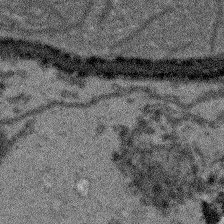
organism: Arabidopsis thaliana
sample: Root tip